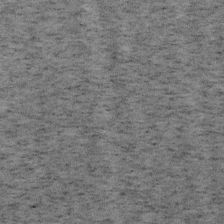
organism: Mouse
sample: OT-I killer T cells with ID8 ovarian cancer cells